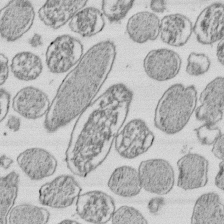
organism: E. coli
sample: Bacterial nucleoid